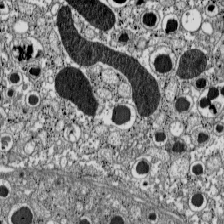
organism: C57BL Mouse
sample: Pancreatic islet